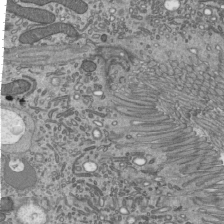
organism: Mouse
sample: Mouse epididymis efferent ductule cilia